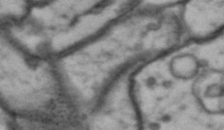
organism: Drosophila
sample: Brain